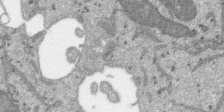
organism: Human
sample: Lung epithelial cells infected with SARS-CoV-2